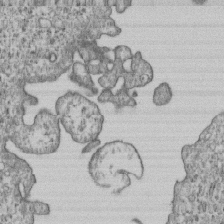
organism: Human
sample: MDA-MB-231 cells